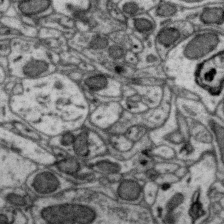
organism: Zebra finch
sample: Brain